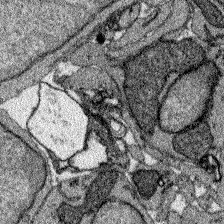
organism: Zebrafish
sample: Larval olfactory bulb